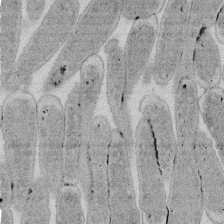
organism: E. coli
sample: Bacterial nucleoid